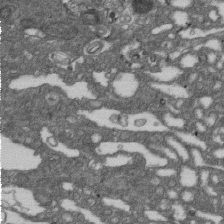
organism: Drosophila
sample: Nephrocyte